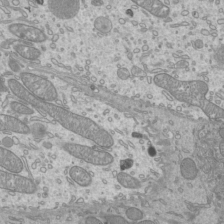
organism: Mouse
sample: Cilia; mouse epididymis